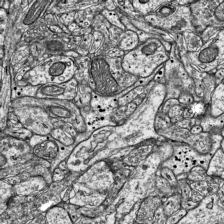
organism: Mouse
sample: Visual Cortex